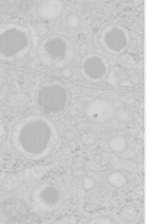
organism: Mouse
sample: Pancreas